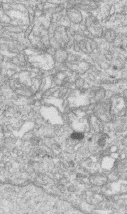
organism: Human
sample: HeLa cell HIV synapse